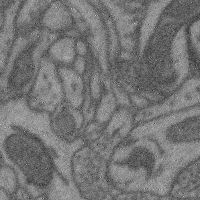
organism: Mouse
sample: Cerebral cortex